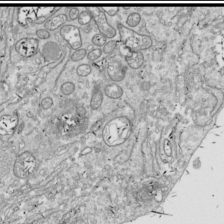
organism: Drosophila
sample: Cell division; meiosis; drosophila spermatocytes